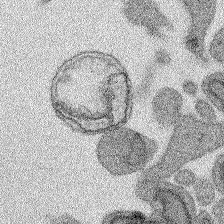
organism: Human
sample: HeLa cells